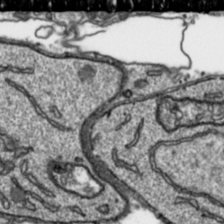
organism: Toxoplasma gondii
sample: Parasites in a vacuole inside a host cell